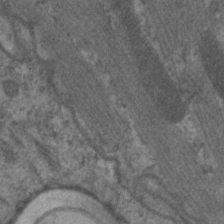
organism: C. elegans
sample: Pharynx